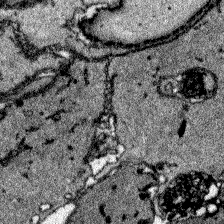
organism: Zebrafish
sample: Larval olfactory bulb